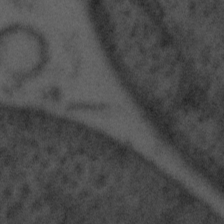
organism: Tuwongella immobilis